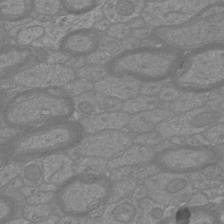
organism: Mouse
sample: Cortical neurons